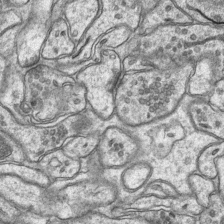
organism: Mouse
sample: CA1 Hippocampus